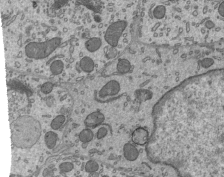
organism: Mouse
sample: Mouse epididymis efferent ductule cilia